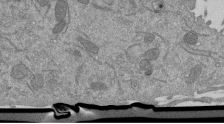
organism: Mouse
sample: ED-1 cell nuclei; centrioles